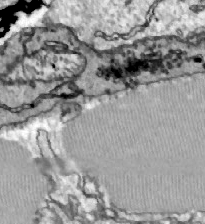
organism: Zebrafish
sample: Actinotrichia fibers